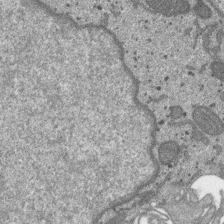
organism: Human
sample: Lung epithelial cells infected with SARS-CoV-2